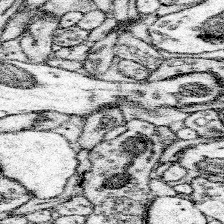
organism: Mouse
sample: Somatosensory cortex neuropil